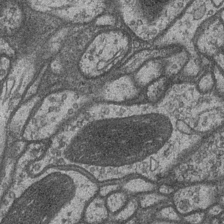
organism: Drosophila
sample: Optic medulla